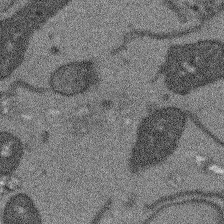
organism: Arabidopsis thaliana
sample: Root tip